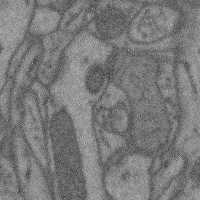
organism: Mouse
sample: Cerebral cortex